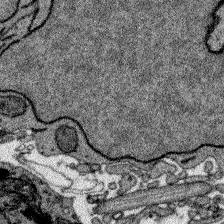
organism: Zebrafish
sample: Larval olfactory bulb